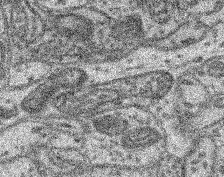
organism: Mouse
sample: Retina